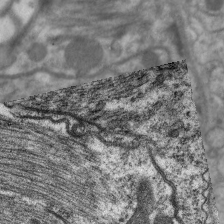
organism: C. elegans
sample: Pharynx